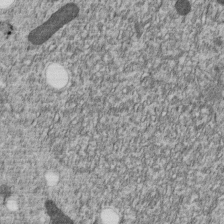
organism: C. elegans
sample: C. elegans embryo early stage